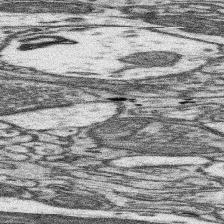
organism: Mouse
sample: Somatosensory cortex neuropil